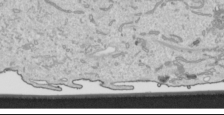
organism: Human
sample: Mitochondria in HCT116 cells